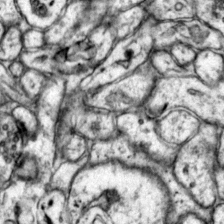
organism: Mouse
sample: Primary visual cortex